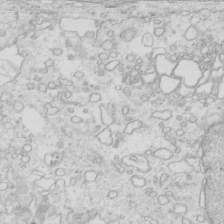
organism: Mouse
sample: Multiciliated cells